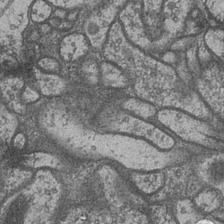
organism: Drosophila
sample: Optic medulla